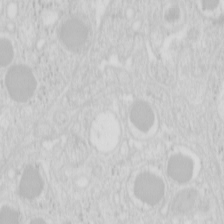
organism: Mouse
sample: Pancreas